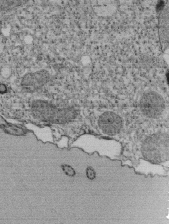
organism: Tetrahymena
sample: Cilia in tetrahymena